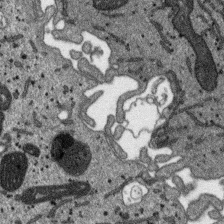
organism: Human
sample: Lung epithelial cells infected with SARS-CoV-2